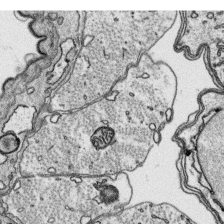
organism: Platynereis dumerilii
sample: Parapodia